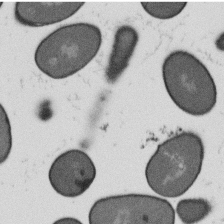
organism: B. subtilis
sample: Bacterial spore